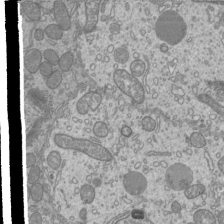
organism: Mouse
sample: Cilia; mouse epididymis